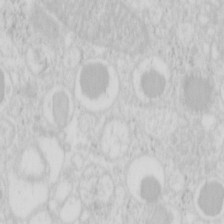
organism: Mouse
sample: Pancreas